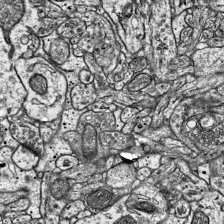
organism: Mouse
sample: Visual Cortex